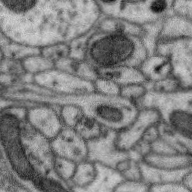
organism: Zebra finch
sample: Brain